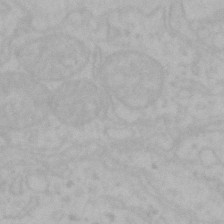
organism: Mouse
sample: Choroid plexus